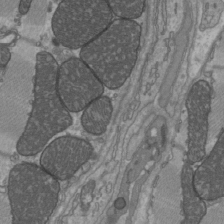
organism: C57BL Mouse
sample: Heart